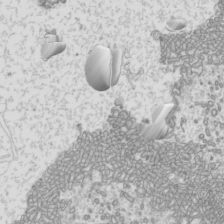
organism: Mouse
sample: Cilia; mouse epididymis